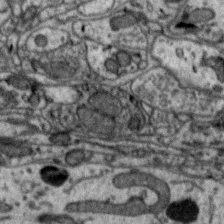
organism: Zebra finch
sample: Brain